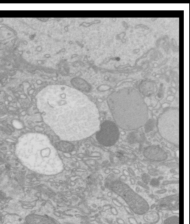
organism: Mouse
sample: Cilia; mouse epididymis